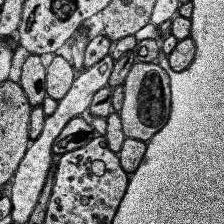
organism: Human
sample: Temporal Lobe